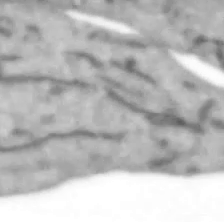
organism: Human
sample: SH-SY5Y cells